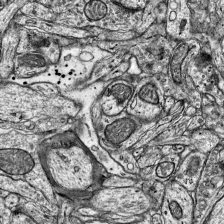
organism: Mouse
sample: Visual Cortex